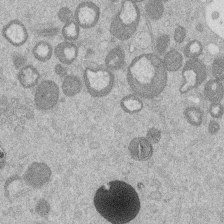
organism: Mouse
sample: Dividing mouse embryo 1 cell stage